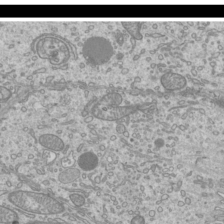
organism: Mouse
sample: Cilia; mouse epididymis